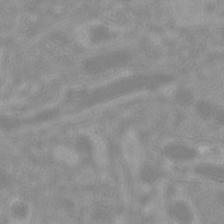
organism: Mouse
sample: Cortical neurons